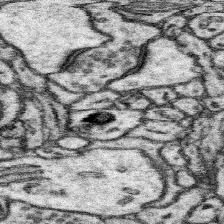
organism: Mouse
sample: Somatosensory cortex neuropil